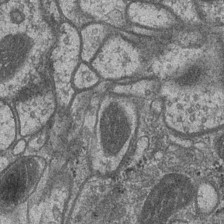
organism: Drosophila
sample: Optic medulla